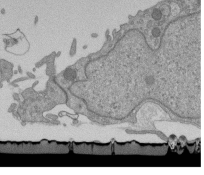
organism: Mouse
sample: ED-1 cell nuclei; centrioles